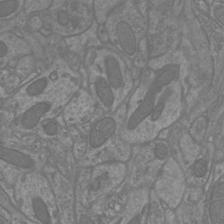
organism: Mouse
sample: Cortical neurons